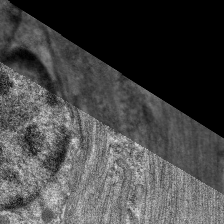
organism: C. elegans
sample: Pharynx